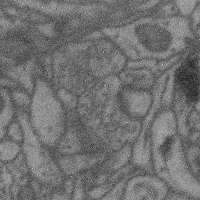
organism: Mouse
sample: Cerebral cortex